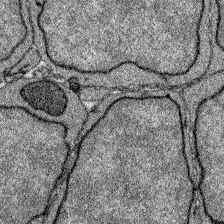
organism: Zebrafish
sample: Larval olfactory bulb